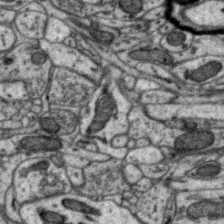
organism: Zebra finch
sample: Brain